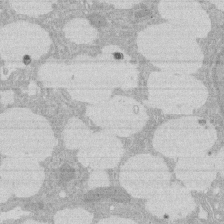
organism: Rat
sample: Salivary granule